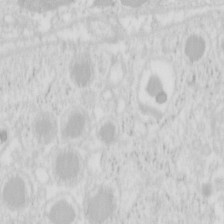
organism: Mouse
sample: Pancreas